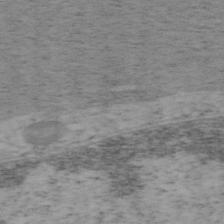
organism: Mouse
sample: OT-I killer T cells with ID8 ovarian cancer cells